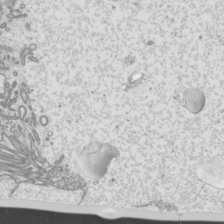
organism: Mouse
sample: Cilia; mouse epididymis